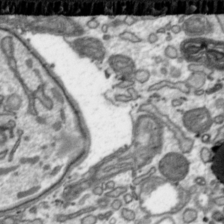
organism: Toxoplasma gondii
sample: Parasites in a vacuole inside a host cell